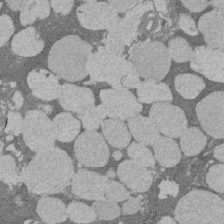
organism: Rat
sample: Salivary granule